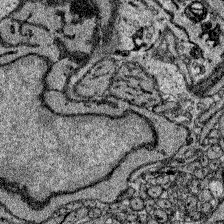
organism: Zebrafish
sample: Larval olfactory bulb